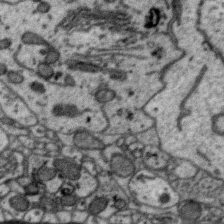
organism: Zebra finch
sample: Brain